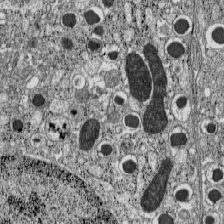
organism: C57BL Mouse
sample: Pancreatic islet